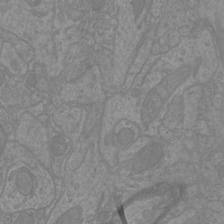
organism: Mouse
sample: Cortical neurons